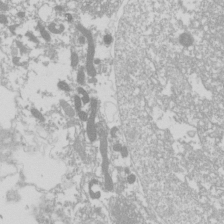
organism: Drosophila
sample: Cell division; meiosis; drosophila spermatocytes